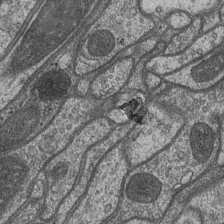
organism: Drosophila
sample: Optic medulla